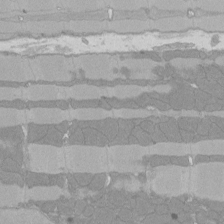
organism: Rat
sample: Left ventricle